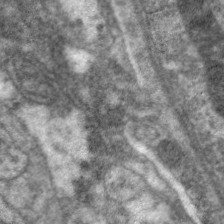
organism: C. elegans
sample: Pharynx